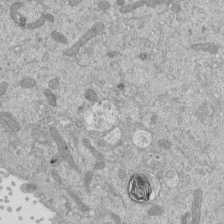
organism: Mouse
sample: ED-1 cell nuclei; centrioles